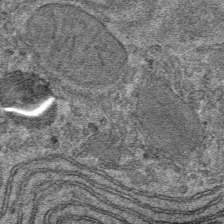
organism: Mouse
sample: Mouse hepatocytes